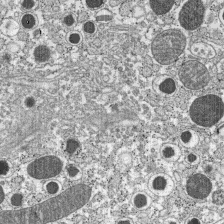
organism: C57BL Mouse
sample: Pancreatic islet